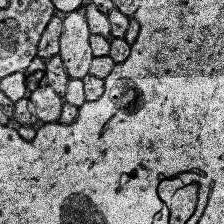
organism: Human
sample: Temporal Lobe